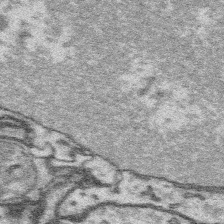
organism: Platynereis dumerilii